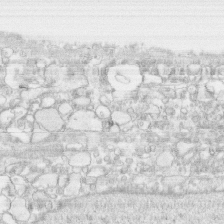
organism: Human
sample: CRL-1474